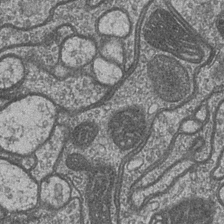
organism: Drosophila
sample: Optic medulla